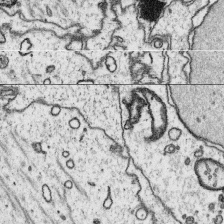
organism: Platynereis dumerilii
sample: Parapodia